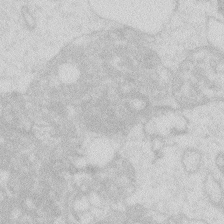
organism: Zebrafish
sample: Macrophage